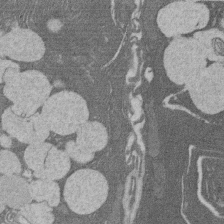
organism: Rat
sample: Salivary granule